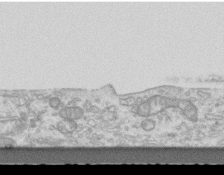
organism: Mouse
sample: Centriole in ependymal cells